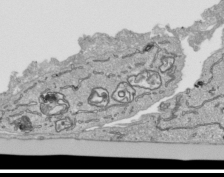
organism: Human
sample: Mitochondria in HCT116 cells